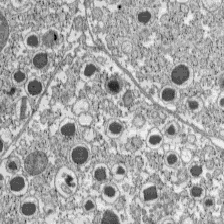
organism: C57BL Mouse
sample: Pancreatic islet